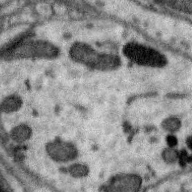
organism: Zebra finch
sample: Brain